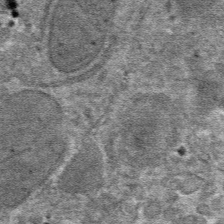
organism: Mouse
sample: Mouse hepatocytes